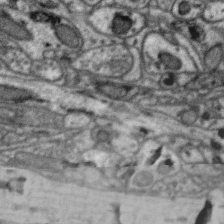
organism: Zebra finch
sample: Brain